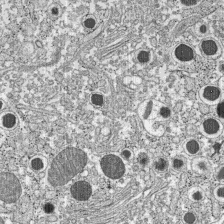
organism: C57BL Mouse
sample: Pancreatic islet